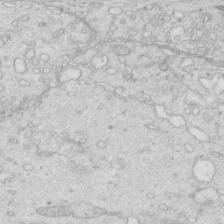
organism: Mouse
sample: Multiciliated cells